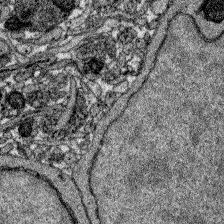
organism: Zebrafish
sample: Larval olfactory bulb